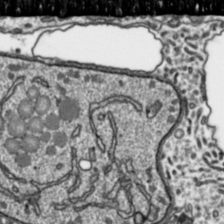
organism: Toxoplasma gondii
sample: Parasites in a vacuole inside a host cell